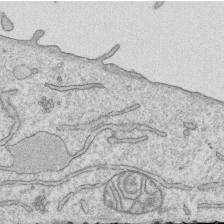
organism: Human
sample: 1205lu cells